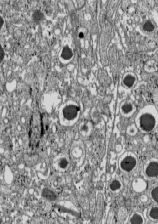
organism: C57BL Mouse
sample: Pancreatic islet